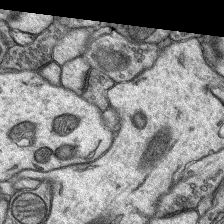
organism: Rat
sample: Hippocampus